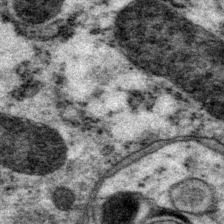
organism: P. pacificus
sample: Pharynx